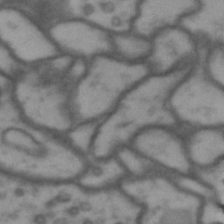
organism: Drosophila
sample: Brain